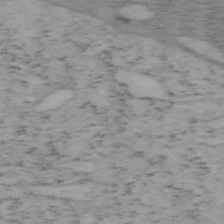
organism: Mouse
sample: OT-I killer T cells with ID8 ovarian cancer cells